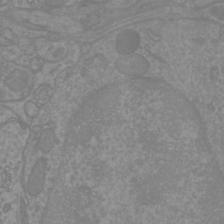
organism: Mouse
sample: Cortical neurons